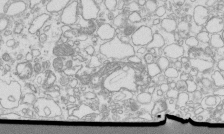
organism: Mouse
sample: Macrophages